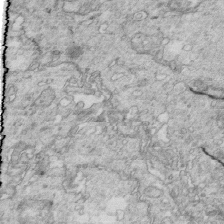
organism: Mouse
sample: Multiciliated cells